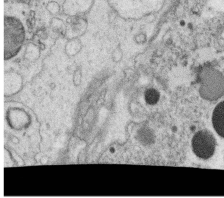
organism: C. elegans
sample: C. elegans oocyte; sperm cells